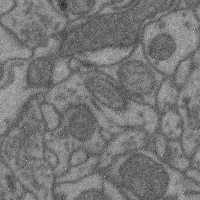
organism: Mouse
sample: Cerebral cortex